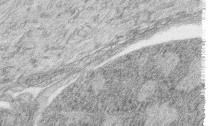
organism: Zebrafish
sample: synaptic ribbons in rod cells and cone cells